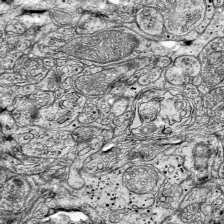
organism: Mouse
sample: Visual Cortex